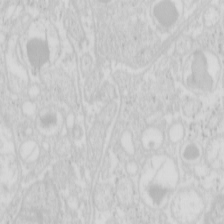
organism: Mouse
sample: Pancreas